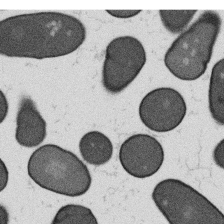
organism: B. subtilis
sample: Bacterial spore